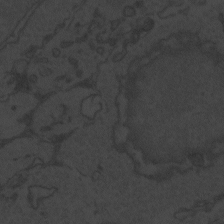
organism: Zebrafish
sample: Macrophage infected with Toxoplasma gondii